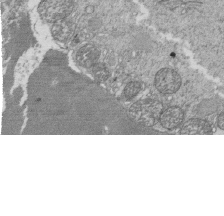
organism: Tetrahymena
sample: Cilia in tetrahymena